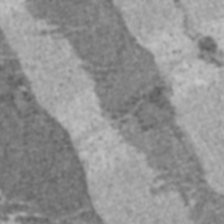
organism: C57BL Mouse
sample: Heart